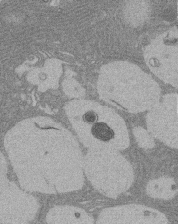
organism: Rat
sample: Salivary granule